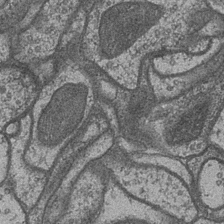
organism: Drosophila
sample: Optic medulla